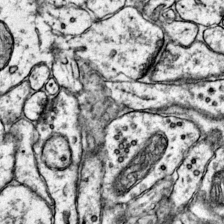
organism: Mouse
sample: Primary visual cortex